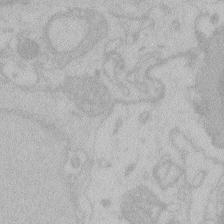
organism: Zebrafish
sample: Macrophage infected with Toxoplasma gondii